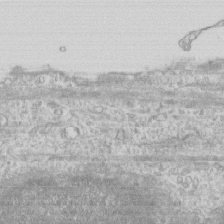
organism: Human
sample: CRL-1474